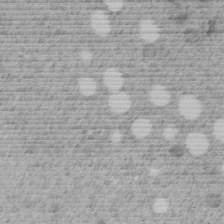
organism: C. elegans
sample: C. elegans embryo early stage